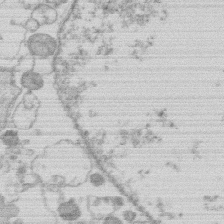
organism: Human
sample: Macrophage cells